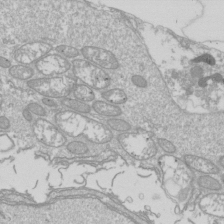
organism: Drosophila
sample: Cell division; meiosis; drosophila spermatocytes